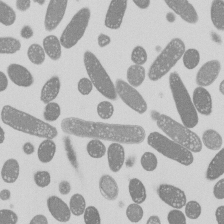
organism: E. coli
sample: Bacterial nucleoid